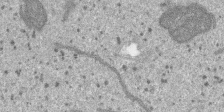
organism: Human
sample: Lung epithelial cells infected with SARS-CoV-2